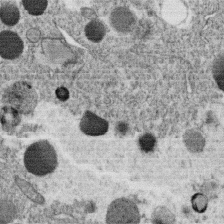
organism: C. elegans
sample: C. elegans oocyte; sperm cells